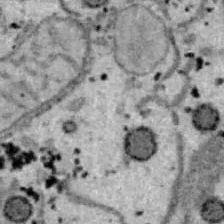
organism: Mouse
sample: Liver from an obese (ob/ob) mouse